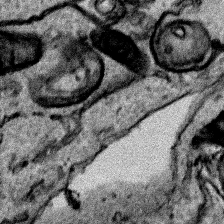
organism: Human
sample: Mitochondria in HCT116 cells